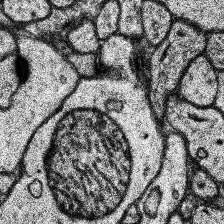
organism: Human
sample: Temporal Lobe